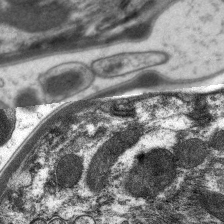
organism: C. elegans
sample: Pharynx